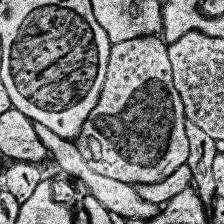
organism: Human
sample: Temporal Lobe